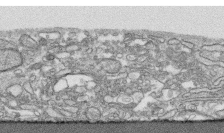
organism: Human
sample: CRL-1474